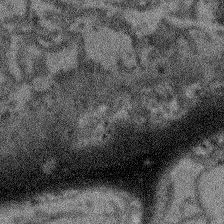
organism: Arabidopsis thaliana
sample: Root tip